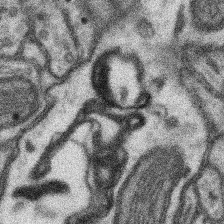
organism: Mouse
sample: Somatosensory cortex neuropil